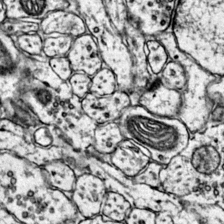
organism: Mouse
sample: Primary visual cortex